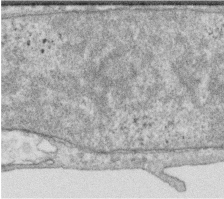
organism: Human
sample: Centriole in RPE cells